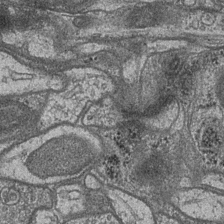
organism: Drosophila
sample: Optic medulla